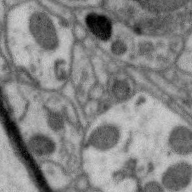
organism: Zebra finch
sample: Brain